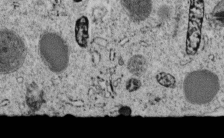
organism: C. elegans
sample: C. elegans embryo early stage